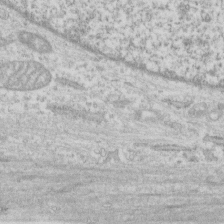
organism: Human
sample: CRL-1474